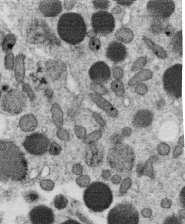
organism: C. elegans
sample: C. elegans oocyte; sperm cells